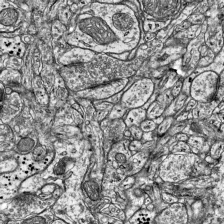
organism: Mouse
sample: Visual Cortex